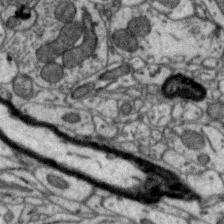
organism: Zebra finch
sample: Brain